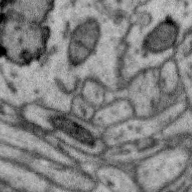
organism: Zebra finch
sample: Brain